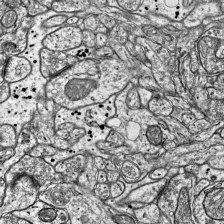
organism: Mouse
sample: Visual Cortex